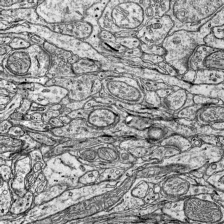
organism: Mouse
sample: Visual Cortex